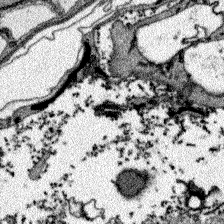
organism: Zebrafish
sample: Larval olfactory bulb